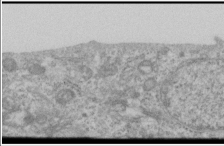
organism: Human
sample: Cilia; basal body in RPE cells